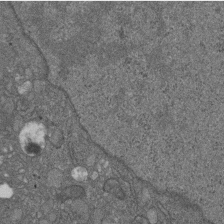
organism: Drosophila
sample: Nephrocyte